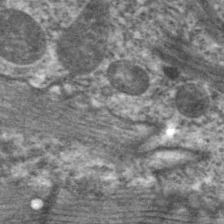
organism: C. elegans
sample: Pharynx